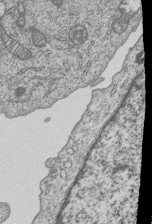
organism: Human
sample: MDA-MB-231 cells